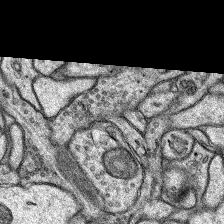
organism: Rat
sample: Hippocampus